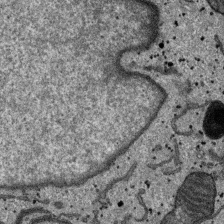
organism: Human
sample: Lung epithelial cells, uninfected (mock) control